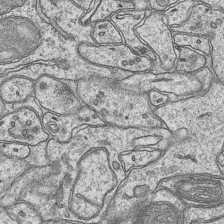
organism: Mouse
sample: CA1 Hippocampus